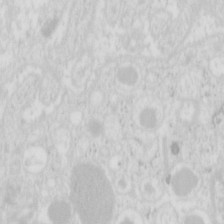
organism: Mouse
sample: Pancreas